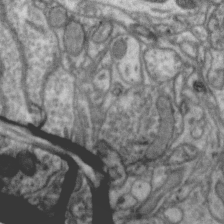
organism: Zebra finch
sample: Brain